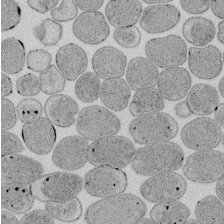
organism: E. coli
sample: Bacterial nucleoid